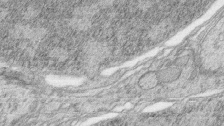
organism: Zebrafish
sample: synaptic ribbons in rod cells and cone cells